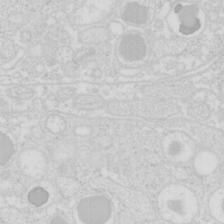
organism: Mouse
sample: Pancreas